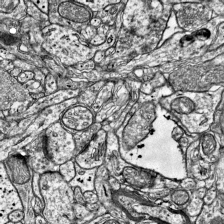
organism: Mouse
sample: Visual Cortex